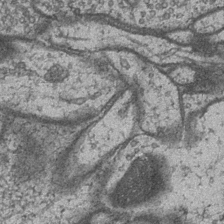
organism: Drosophila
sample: Optic medulla